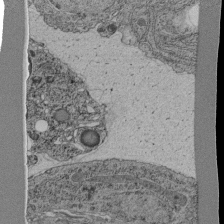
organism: C. elegans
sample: C. elegans pharynx